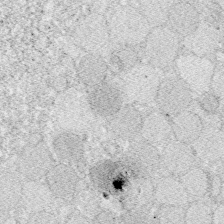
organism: Zebrafish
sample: Whole-Brain